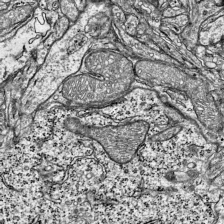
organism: Mouse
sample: Visual Cortex